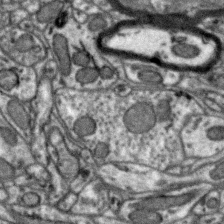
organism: Zebra finch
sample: Brain